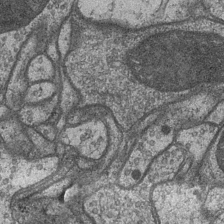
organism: Drosophila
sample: Optic medulla